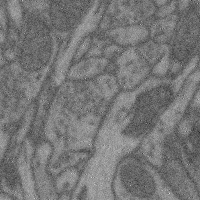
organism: Mouse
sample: Cerebral cortex